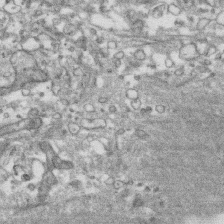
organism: Human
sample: CRL-1474